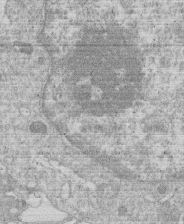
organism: Human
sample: Macrophage cells